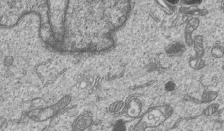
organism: Human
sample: MDA-MB-231 cells